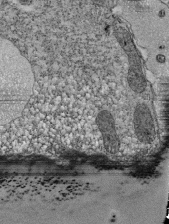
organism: Tetrahymena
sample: Cilia in tetrahymena